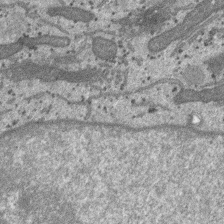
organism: Human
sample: Lung epithelial cells infected with SARS-CoV-2